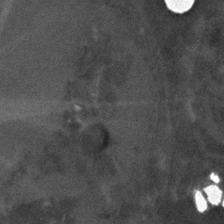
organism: C. elegans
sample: C. elegans embryo